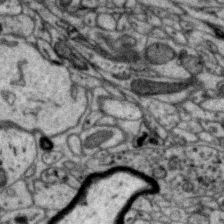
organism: Zebra finch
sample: Brain